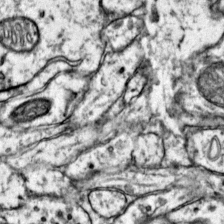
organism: Mouse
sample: Primary visual cortex